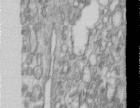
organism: Human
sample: Centriole in RPE cells